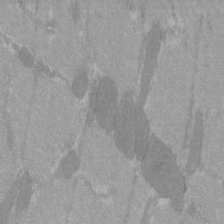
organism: C57BL Mouse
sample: Tibialis anterior muscle cell